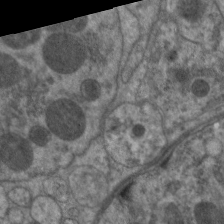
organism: C. elegans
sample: Pharynx